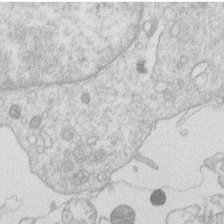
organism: Human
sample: Macrophage cells